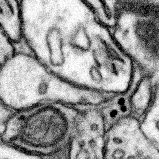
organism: Mouse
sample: Somatosensory cortex neuropil